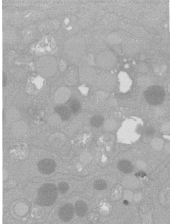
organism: C. elegans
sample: C. elegans oocyte; sperm cells